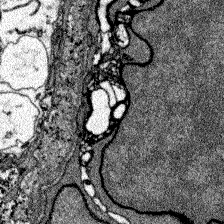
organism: Zebrafish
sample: Larval olfactory bulb